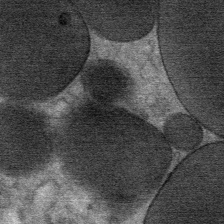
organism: Mouse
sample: Mouse Salivary gland